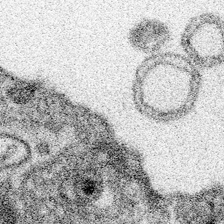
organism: Spongilla lacustris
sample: Neuroid cell